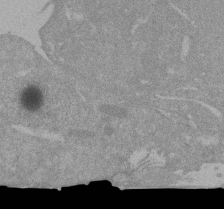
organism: Mouse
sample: ED-1 cell nuclei; centrioles